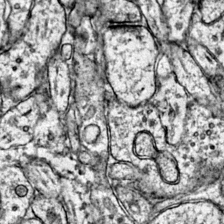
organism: Mouse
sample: Primary visual cortex